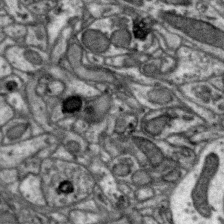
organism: Zebra finch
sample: Brain